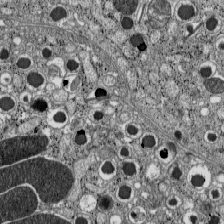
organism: C57BL Mouse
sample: Pancreatic islet